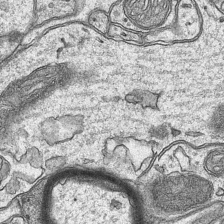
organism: Mouse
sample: CA1 Hippocampus